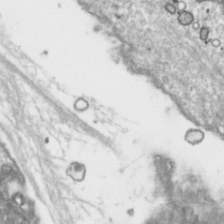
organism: Toxoplasma gondii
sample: Parasites in a vacuole inside a host cell